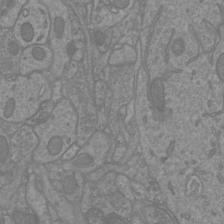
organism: Mouse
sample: Cortical neurons